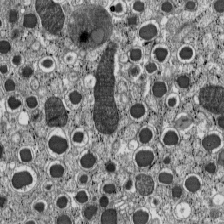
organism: C57BL Mouse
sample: Pancreatic islet